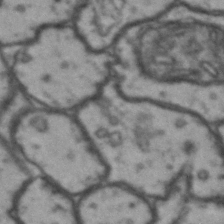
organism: Drosophila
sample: Brain